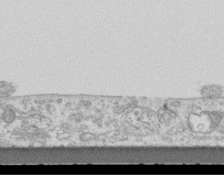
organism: Mouse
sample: Centriole in ependymal cells